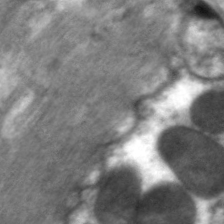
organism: C. elegans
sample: Pharynx